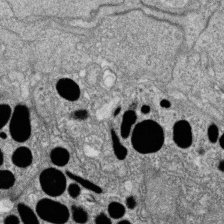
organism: Zebrafish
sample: Cilia; retinal pigment epithelium